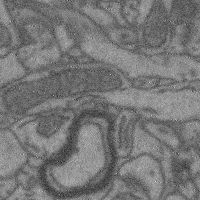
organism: Mouse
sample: Cerebral cortex